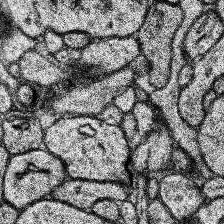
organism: Human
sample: Temporal Lobe